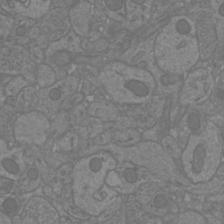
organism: Mouse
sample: Cortical neurons